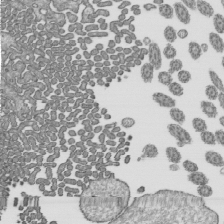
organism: Mouse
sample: Mouse epididymis efferent ductule cilia